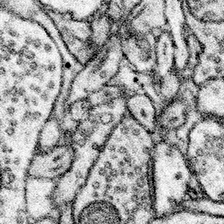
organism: Mouse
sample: Somatosensory cortex neuropil